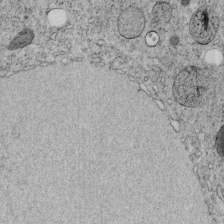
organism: C. elegans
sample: C. elegans embryo early stage